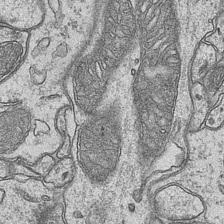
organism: Mouse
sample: CA1 Hippocampus